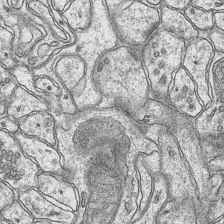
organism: Mouse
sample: CA1 Hippocampus